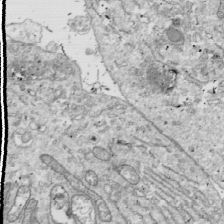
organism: Drosophila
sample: Cell division; meiosis; drosophila spermatocytes